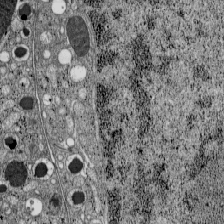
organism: C57BL Mouse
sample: Pancreatic islet